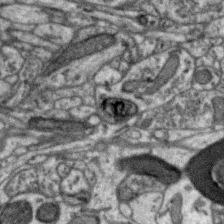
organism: Zebra finch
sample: Brain